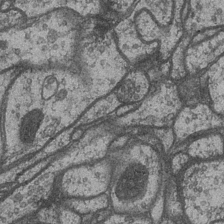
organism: Drosophila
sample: Optic medulla